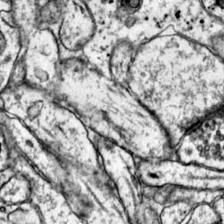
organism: Mouse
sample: Primary visual cortex